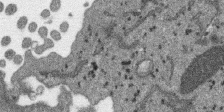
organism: Human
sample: Lung epithelial cells infected with SARS-CoV-2